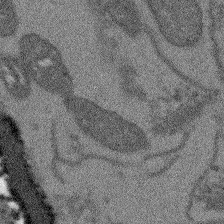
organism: Arabidopsis thaliana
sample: Root tip